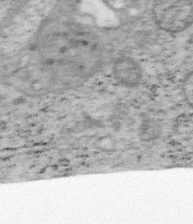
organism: Mouse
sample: OT-I killer T cells with ID8 ovarian cancer cells